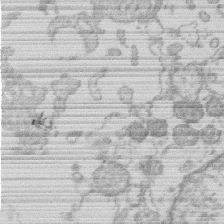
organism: Human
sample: Macrophage cells